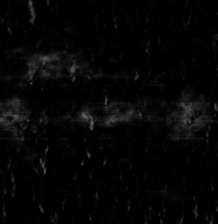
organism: Toxoplasma gondii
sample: Parasites in a vacuole inside a host cell